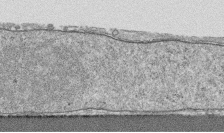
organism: Human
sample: CRL-1474